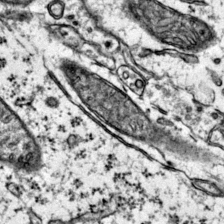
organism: Mouse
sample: Primary visual cortex